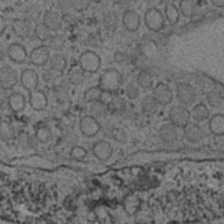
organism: C. elegans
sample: C. elegans embryo